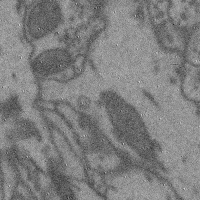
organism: Mouse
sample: Cerebral cortex